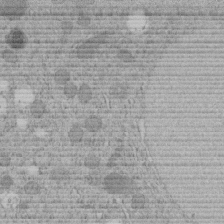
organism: C. elegans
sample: C. elegans embryo early stage